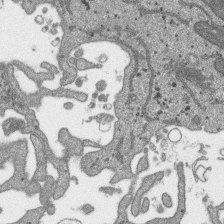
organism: Human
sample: Lung epithelial cells infected with SARS-CoV-2